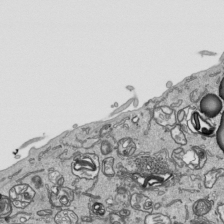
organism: Human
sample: Mitochondria in HCT116 cells